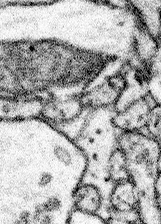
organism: Mouse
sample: Somatosensory cortex neuropil